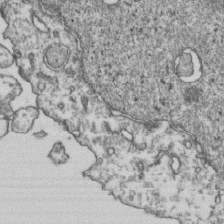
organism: Human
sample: Activated Jurkat CD4+ T cells